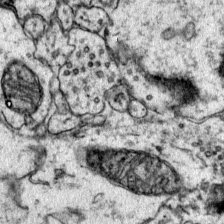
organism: Mouse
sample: Primary visual cortex